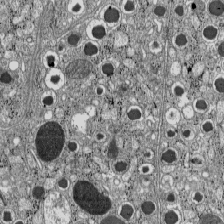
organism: C57BL Mouse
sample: Pancreatic islet